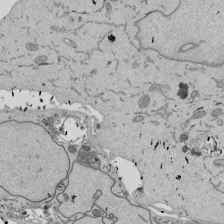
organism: Mouse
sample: ED-1 cell nuclei; centrioles